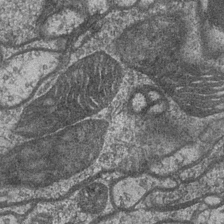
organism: Drosophila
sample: Optic medulla